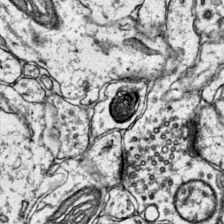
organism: Mouse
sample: Primary visual cortex